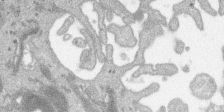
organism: Human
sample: Lung epithelial cells infected with SARS-CoV-2